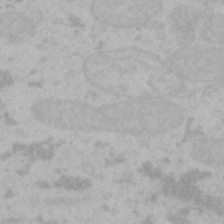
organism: Mouse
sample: Choroid plexus